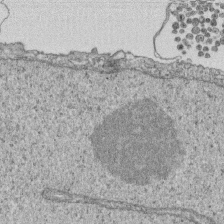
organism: Human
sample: HeLa cell HIV synapse